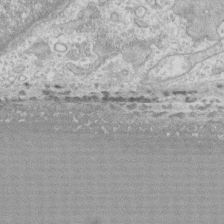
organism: Human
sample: CRL-1474